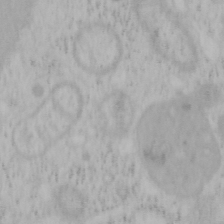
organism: Mouse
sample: OT-I killer T cells with ID8 ovarian cancer cells